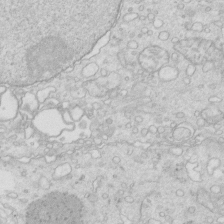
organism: Mouse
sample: Multiciliated cells